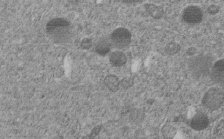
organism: C. elegans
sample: C. elegans embryo early stage